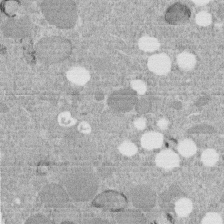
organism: C. elegans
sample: C. elegans embryo early stage